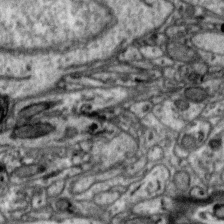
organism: Zebra finch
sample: Brain